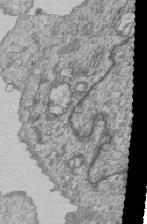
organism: Human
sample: MDA-MB-231 cells